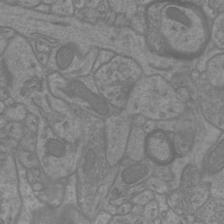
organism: Mouse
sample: Cortical neurons